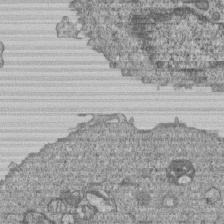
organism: Human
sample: MDA-MB-231 cells